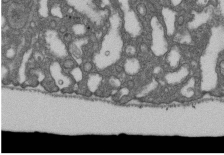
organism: Drosophila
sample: Nephrocyte